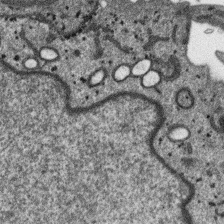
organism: Human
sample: Lung epithelial cells infected with SARS-CoV-2